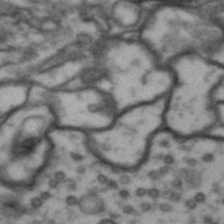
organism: Drosophila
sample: Brain